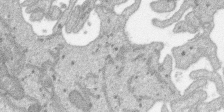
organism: Human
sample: Lung epithelial cells infected with SARS-CoV-2